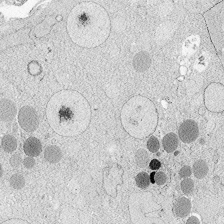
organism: Zebrafish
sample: Whole-Brain